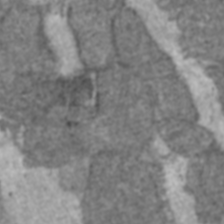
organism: C57BL Mouse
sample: Heart